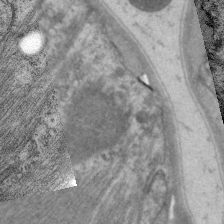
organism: C. elegans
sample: Pharynx